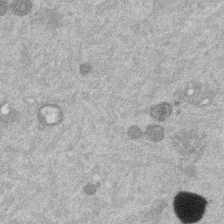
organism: Mouse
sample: Dividing mouse embryo 1 cell stage